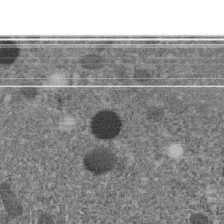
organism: C. elegans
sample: C. elegans embryo early stage